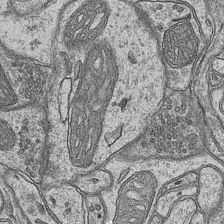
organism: Mouse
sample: CA1 Hippocampus